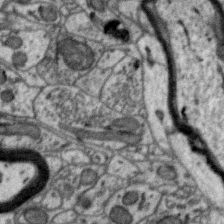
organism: Zebra finch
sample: Brain